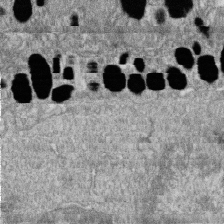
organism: Zebrafish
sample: Cilia; retinal pigment epithelium